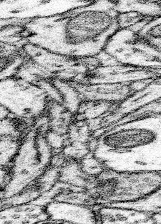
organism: Mouse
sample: Somatosensory cortex neuropil